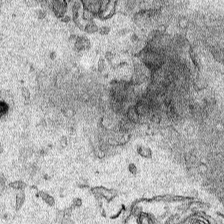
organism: Human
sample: Mitochondria in HCT116 cells